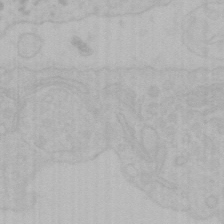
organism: Mouse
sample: Choroid plexus